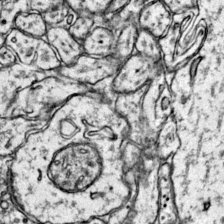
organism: Mouse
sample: Primary visual cortex